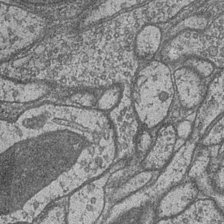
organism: Drosophila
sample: Optic medulla